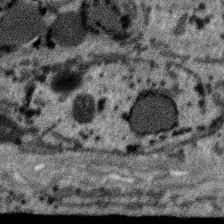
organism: Human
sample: Lung epithelial cells infected with SARS-CoV-2